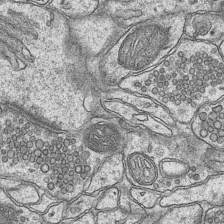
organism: Mouse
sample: CA1 Hippocampus